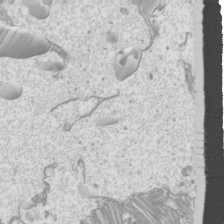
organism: Mouse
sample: Cilia; mouse epididymis